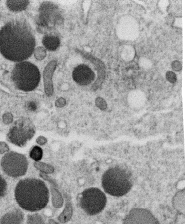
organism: C. elegans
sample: C. elegans oocyte; sperm cells